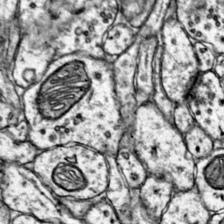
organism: Mouse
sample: Primary visual cortex